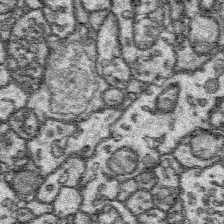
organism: Platynereis dumerilii